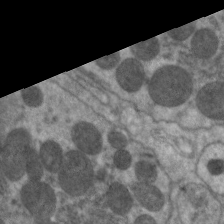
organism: C. elegans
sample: Pharynx